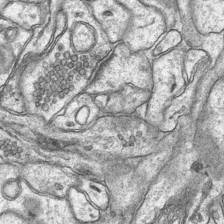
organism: Mouse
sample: CA1 Hippocampus